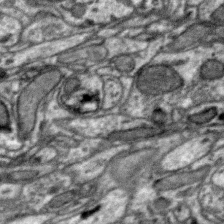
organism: Zebra finch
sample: Brain